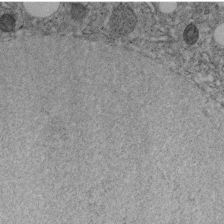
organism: C. elegans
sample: C. elegans embryo early stage